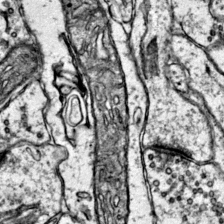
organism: Mouse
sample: Primary visual cortex